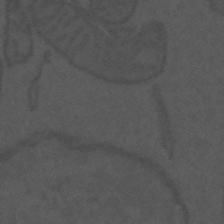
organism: Mouse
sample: Suprachiasmatic nucleus